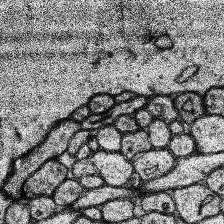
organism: Human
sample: Temporal Lobe